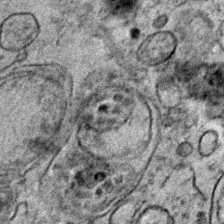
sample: Trachea